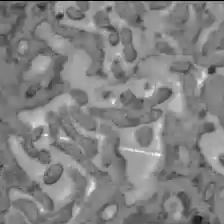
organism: C57BL Mouse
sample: Liver